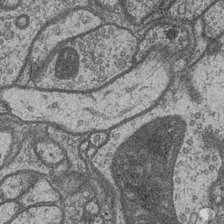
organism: Drosophila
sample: Optic medulla